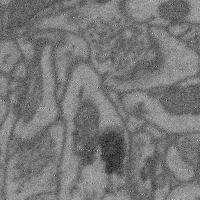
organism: Mouse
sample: Cerebral cortex